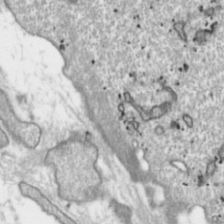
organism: Toxoplasma gondii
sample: Parasites in a vacuole inside a host cell